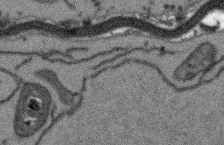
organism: Arabidopsis thaliana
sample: Root tip